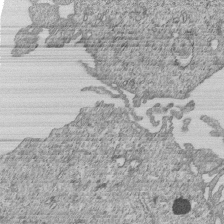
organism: Human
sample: MDA-MB-231 cells